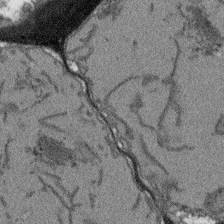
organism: Arabidopsis thaliana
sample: Root tip